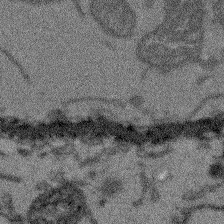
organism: Arabidopsis thaliana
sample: Root tip